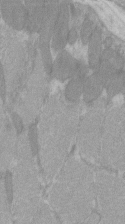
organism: C57BL Mouse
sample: Tibialis anterior muscle cell